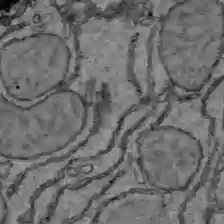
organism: C57BL Mouse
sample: Liver